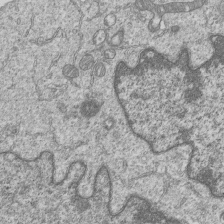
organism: Human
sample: MDA-MB-231 cells